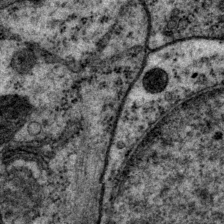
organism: P. pacificus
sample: Pharynx